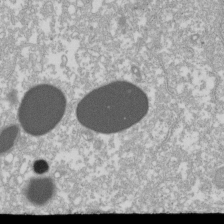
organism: Xenopus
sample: Cilia; centrioles in frog embryo cells